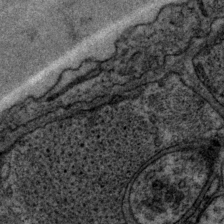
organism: P. pacificus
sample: Pharynx